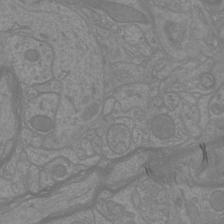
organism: Mouse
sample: Cortical neurons